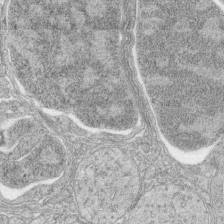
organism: Zebrafish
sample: synaptic ribbons in rod cells and cone cells